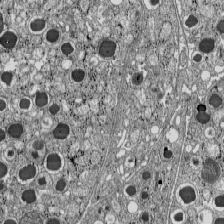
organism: C57BL Mouse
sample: Pancreatic islet